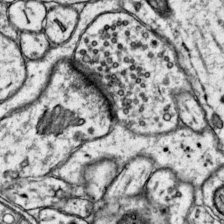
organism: Mouse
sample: Primary visual cortex